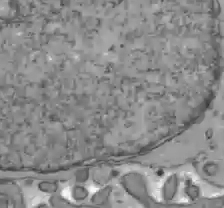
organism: C57BL Mouse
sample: Liver